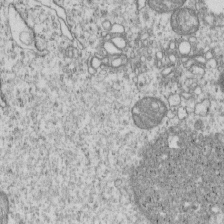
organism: Human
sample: MDA-MB-231 cells